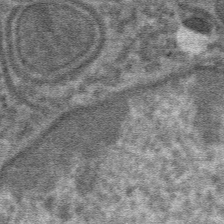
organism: Mouse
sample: Mouse hepatocytes